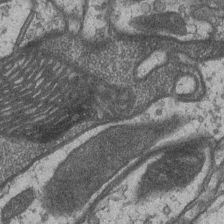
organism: Drosophila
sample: Optic medulla